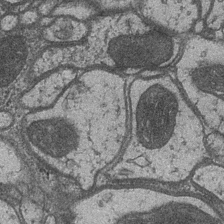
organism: Drosophila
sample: Optic medulla